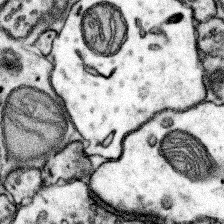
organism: Mouse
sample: Somatosensory cortex neuropil